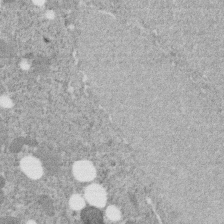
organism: C. elegans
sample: C. elegans embryo early stage